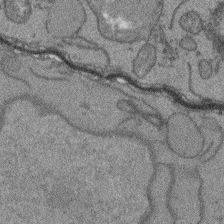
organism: Arabidopsis thaliana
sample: Root tip